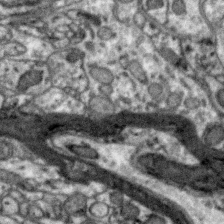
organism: Zebra finch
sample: Brain